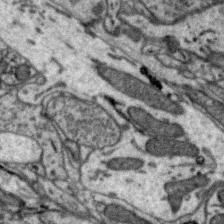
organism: Zebra finch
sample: Brain